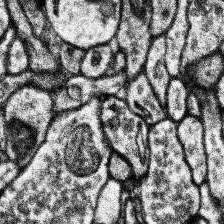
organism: Human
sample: Temporal Lobe